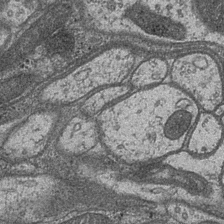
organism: Drosophila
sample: Optic medulla